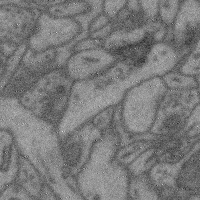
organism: Mouse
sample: Cerebral cortex